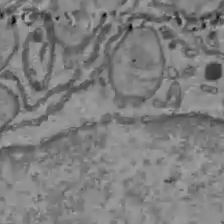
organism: C57BL Mouse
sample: Liver